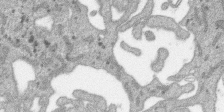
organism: Human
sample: Lung epithelial cells infected with SARS-CoV-2